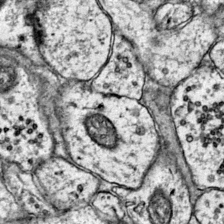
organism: Mouse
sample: Primary visual cortex